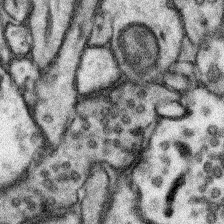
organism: Mouse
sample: Somatosensory cortex neuropil